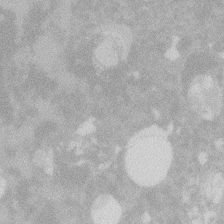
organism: Zebrafish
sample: Macrophage